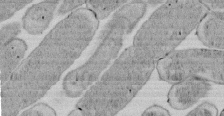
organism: E. coli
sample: Bacterial nucleoid